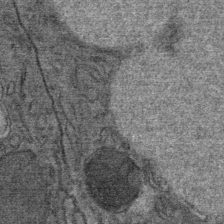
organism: Mouse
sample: Mouse Salivary gland